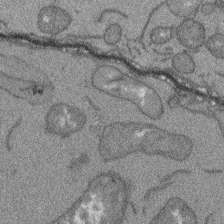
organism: Arabidopsis thaliana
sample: Root tip